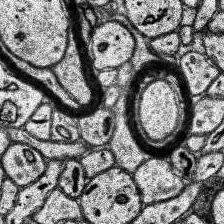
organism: Human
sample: Temporal Lobe